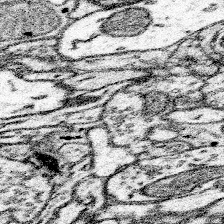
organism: Mouse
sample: Somatosensory cortex neuropil